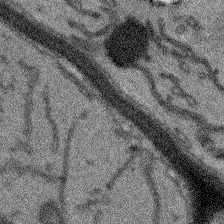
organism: Arabidopsis thaliana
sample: Root tip